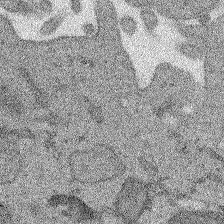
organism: Human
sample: HeLa cells